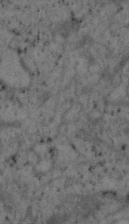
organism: Human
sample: HeLa cells